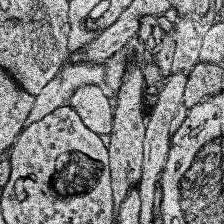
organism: Human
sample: Temporal Lobe